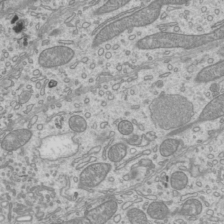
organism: Mouse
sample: Cilia; mouse epididymis